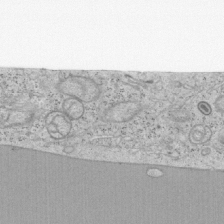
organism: Human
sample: HeLa cells